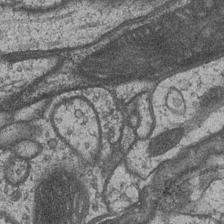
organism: Drosophila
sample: Optic medulla